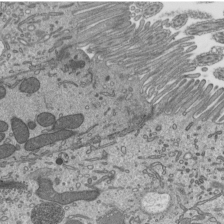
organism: Mouse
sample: Mouse epididymis efferent ductule cilia